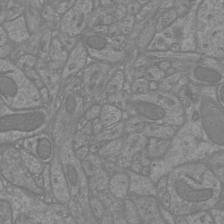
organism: Mouse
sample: Cortical neurons